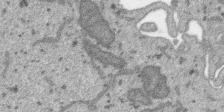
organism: Human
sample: Lung epithelial cells infected with SARS-CoV-2